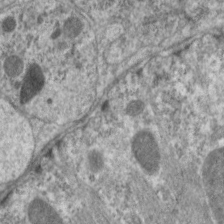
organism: C. elegans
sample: Pharynx